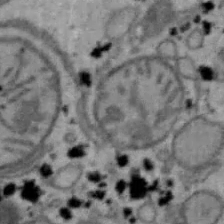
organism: Mouse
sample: Liver